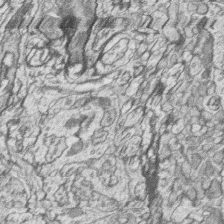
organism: Zebrafish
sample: synaptic ribbons in rod cells and cone cells